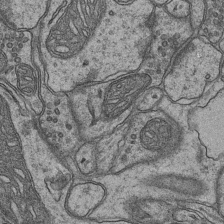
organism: Mouse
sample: CA1 Hippocampus